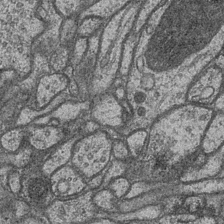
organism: Drosophila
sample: Optic medulla